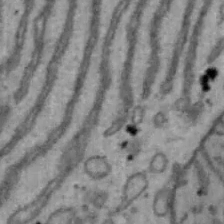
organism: Mouse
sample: Liver